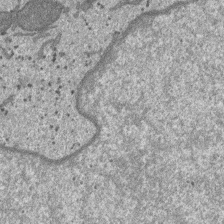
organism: Human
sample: Lung epithelial cells infected with SARS-CoV-2